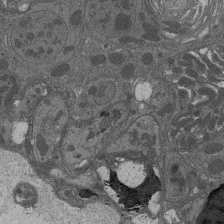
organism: Drosophila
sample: Antenna